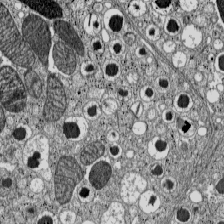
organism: C57BL Mouse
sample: Pancreatic islet